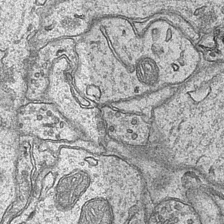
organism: Mouse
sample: CA1 Hippocampus